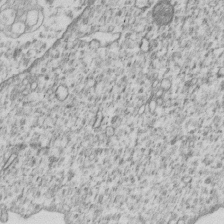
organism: Human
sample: MDA-MB-231 cells